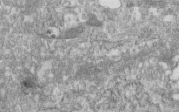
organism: Human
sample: Centriole in fibroblast cells